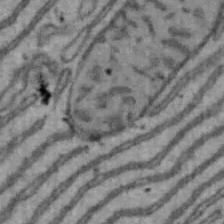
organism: Mouse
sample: Liver